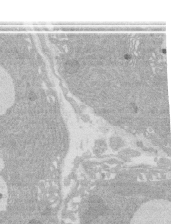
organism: Rat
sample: Salivary granule